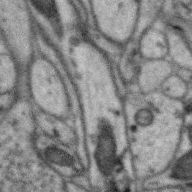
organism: Zebra finch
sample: Brain